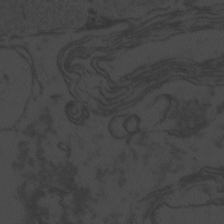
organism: Zebrafish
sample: Macrophage infected with Toxoplasma gondii